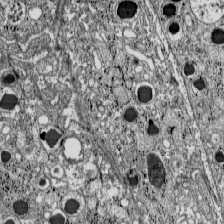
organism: C57BL Mouse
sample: Pancreatic islet